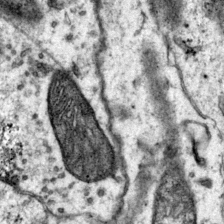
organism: Mouse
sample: Primary visual cortex